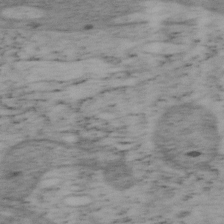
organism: Mouse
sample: OT-I killer T cells with ID8 ovarian cancer cells